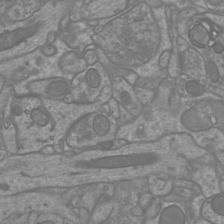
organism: Mouse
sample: Cortical neurons